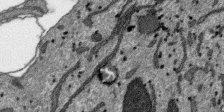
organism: Human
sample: Lung epithelial cells, uninfected (mock) control